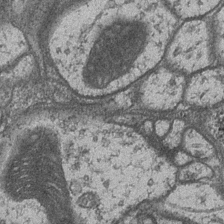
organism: Drosophila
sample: Optic medulla